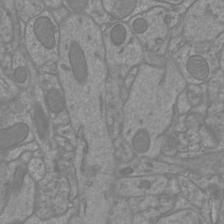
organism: Mouse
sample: Cortical neurons